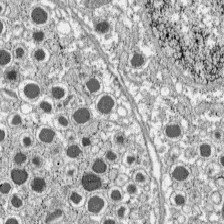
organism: C57BL Mouse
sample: Pancreatic islet